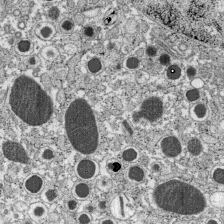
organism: C57BL Mouse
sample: Pancreatic islet